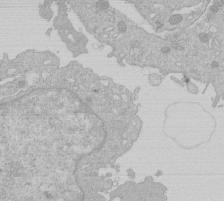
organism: Human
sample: Macrophage cells